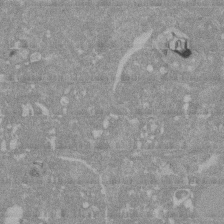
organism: Mouse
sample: ED-1 cell nuclei; centrioles